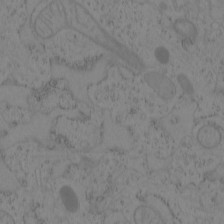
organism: Human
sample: HeLa cells